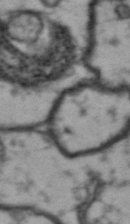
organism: Drosophila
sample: Brain